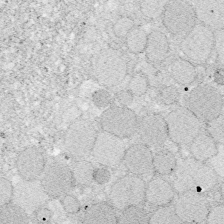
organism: Zebrafish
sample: Whole-Brain